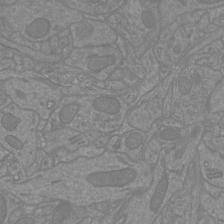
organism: Mouse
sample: Cortical neurons